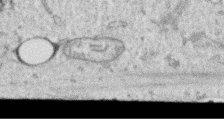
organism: Human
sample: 1205lu cells